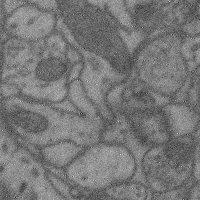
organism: Mouse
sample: Cerebral cortex